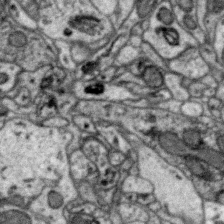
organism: Zebra finch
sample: Brain